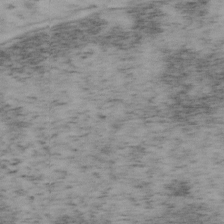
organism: Mouse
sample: OT-I killer T cells with ID8 ovarian cancer cells